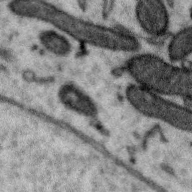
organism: Zebra finch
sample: Brain